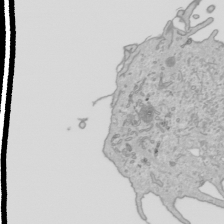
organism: Human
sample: Mitochondria in HCT116 cells